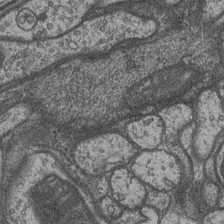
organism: Drosophila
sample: Optic medulla